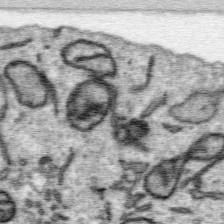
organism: Human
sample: HeLa cells